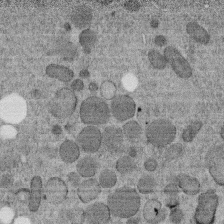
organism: C. elegans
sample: C. elegans embryo early stage